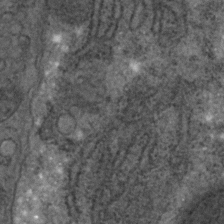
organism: C. elegans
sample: C. elegans embryo